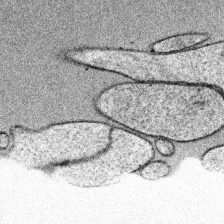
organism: Human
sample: HeLa cells